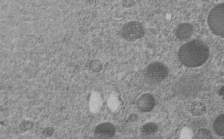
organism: C. elegans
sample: C. elegans embryo early stage